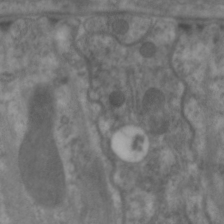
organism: C. elegans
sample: Pharynx